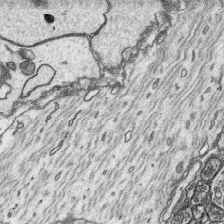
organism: Platynereis dumerilii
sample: Parapodia